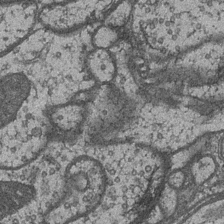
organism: Drosophila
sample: Optic medulla